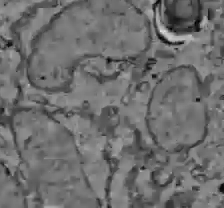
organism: C57BL Mouse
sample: Liver